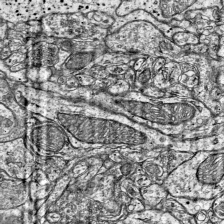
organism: Mouse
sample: Visual Cortex